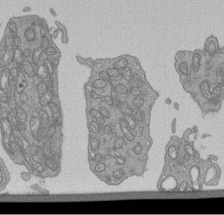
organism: Human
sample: Retinal organoid Rod and Cone cells